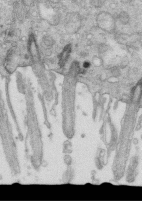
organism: Mouse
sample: Multiciliated cells